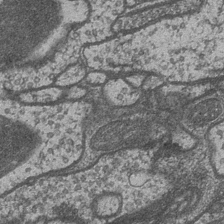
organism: Drosophila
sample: Optic medulla